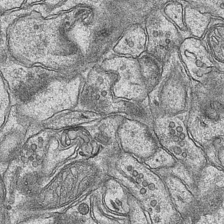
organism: Mouse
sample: CA1 Hippocampus